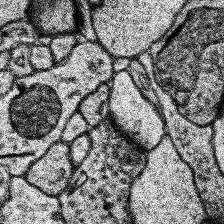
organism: Human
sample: Temporal Lobe